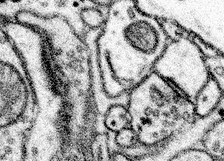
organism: Mouse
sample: Somatosensory cortex neuropil